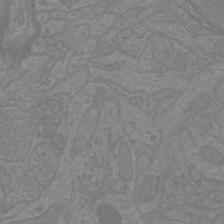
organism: Mouse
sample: Cortical neurons